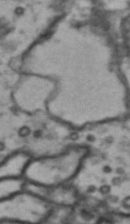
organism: Drosophila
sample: Brain